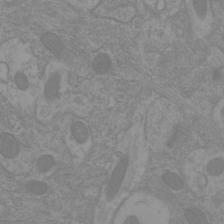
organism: Mouse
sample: Cortical neurons